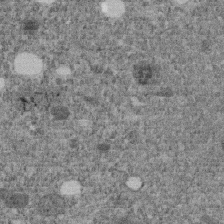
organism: C. elegans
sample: C. elegans embryo early stage